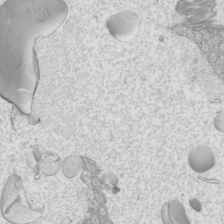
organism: Mouse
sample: Cilia; mouse epididymis